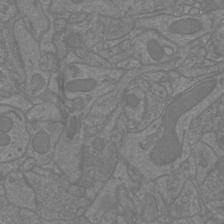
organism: Mouse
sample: Cortical neurons